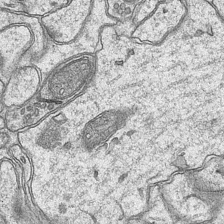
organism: Mouse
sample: CA1 Hippocampus